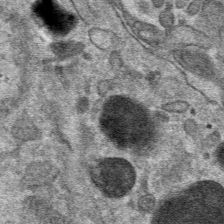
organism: Mouse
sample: Mouse hepatocytes